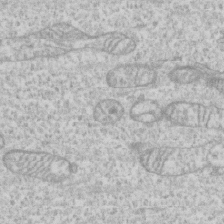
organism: Human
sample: CRL-1474